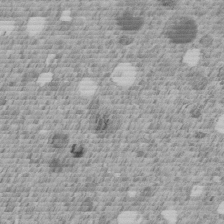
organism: C. elegans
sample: C. elegans embryo early stage